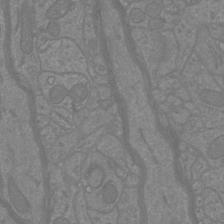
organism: Mouse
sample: Cortical neurons